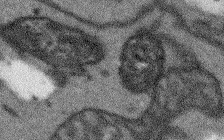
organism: Arabidopsis thaliana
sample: Root tip